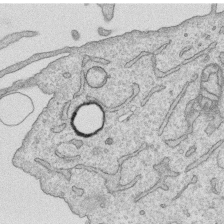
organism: Human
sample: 1205lu cells